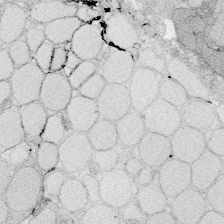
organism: Zebrafish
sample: Whole-Brain